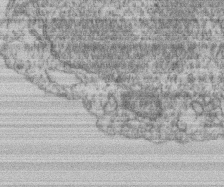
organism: Mouse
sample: T cell stromal cell synapse